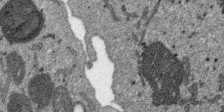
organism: Human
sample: Lung epithelial cells infected with SARS-CoV-2